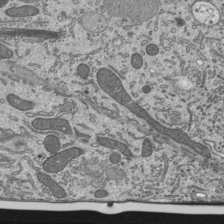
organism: Mouse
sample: Mouse epididymis efferent ductule cilia